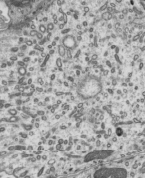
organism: Mouse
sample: Mouse epididymis efferent ductule cilia